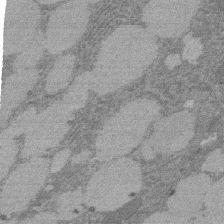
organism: Rat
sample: Salivary granule